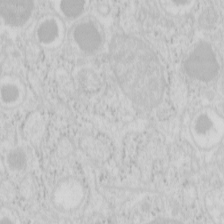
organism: Mouse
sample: Pancreas